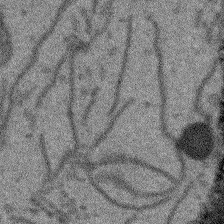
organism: Arabidopsis thaliana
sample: Root tip